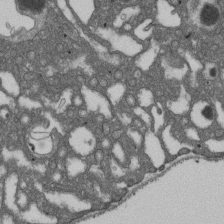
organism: Drosophila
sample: Nephrocyte